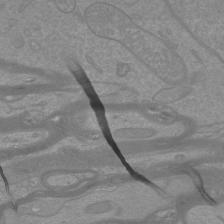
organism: Mouse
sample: Cortical neurons